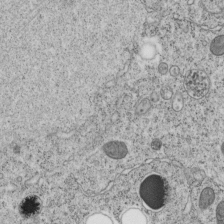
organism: C. elegans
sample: C. elegans embryo early stage